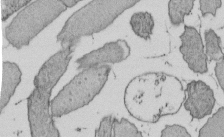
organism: E. coli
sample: Bacterial nucleoid